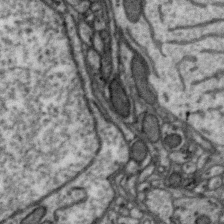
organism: Zebra finch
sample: Brain